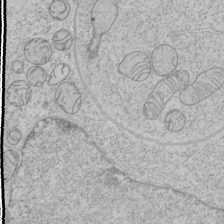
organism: Human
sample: Mitochondria in HCT116 cells